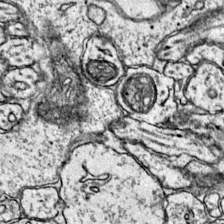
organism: Mouse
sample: Primary visual cortex